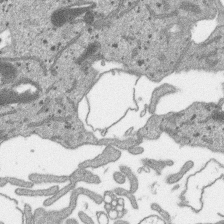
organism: Human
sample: Lung epithelial cells infected with SARS-CoV-2